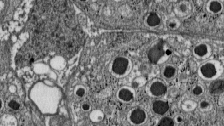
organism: C57BL Mouse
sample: Pancreatic islet